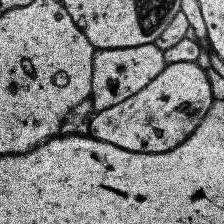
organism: Human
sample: Temporal Lobe